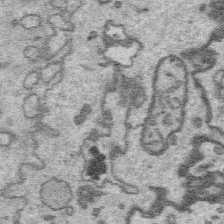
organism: Platynereis dumerilii